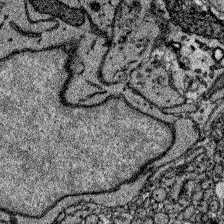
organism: Zebrafish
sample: Larval olfactory bulb